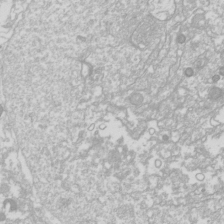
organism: Drosophila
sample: Cell division; meiosis; drosophila spermatocytes